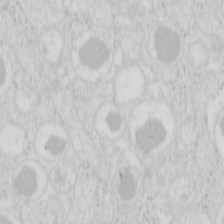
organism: Mouse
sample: Pancreas